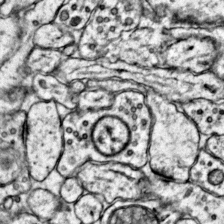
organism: Mouse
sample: Primary visual cortex